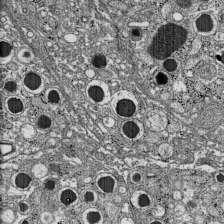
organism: C57BL Mouse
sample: Pancreatic islet